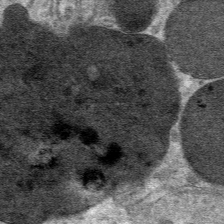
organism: Mouse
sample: Mouse hepatocytes